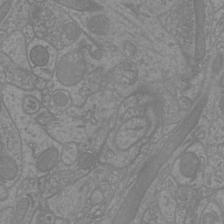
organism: Mouse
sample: Cortical neurons